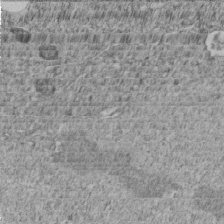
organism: C. elegans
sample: C. elegans embryo early stage